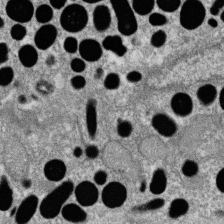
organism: Zebrafish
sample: Cilia; retinal pigment epithelium